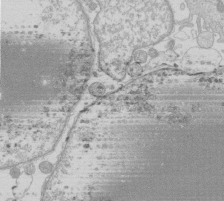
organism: Human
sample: Macrophage cells